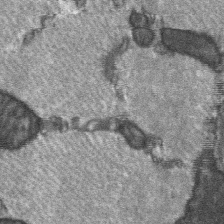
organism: C57BL Mouse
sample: Soleus